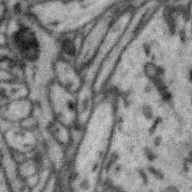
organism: Zebra finch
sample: Brain